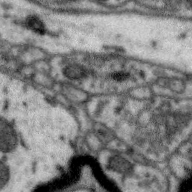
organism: Zebra finch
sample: Brain